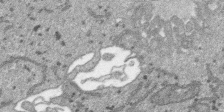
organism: Human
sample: Lung epithelial cells infected with SARS-CoV-2